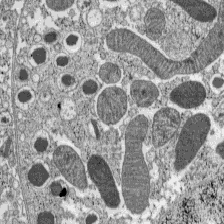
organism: C57BL Mouse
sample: Pancreatic islet